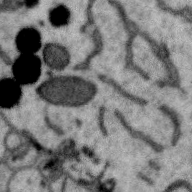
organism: Zebra finch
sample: Brain